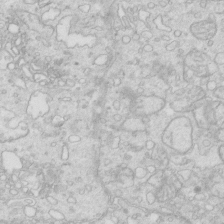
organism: Mouse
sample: Multiciliated cells